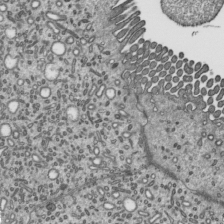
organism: Mouse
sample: Mouse epididymis efferent ductule cilia